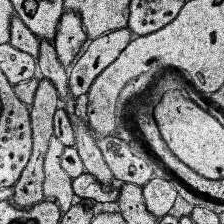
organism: Human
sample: Temporal Lobe